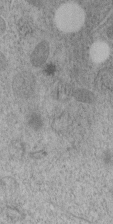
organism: C. elegans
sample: C. elegans embryo early stage